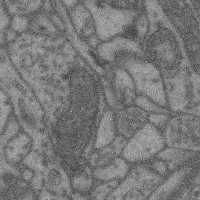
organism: Mouse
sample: Cerebral cortex